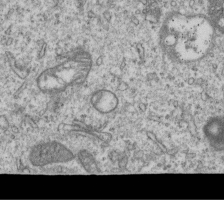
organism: Human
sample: MDA-MB-231 cells